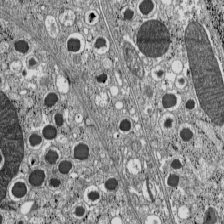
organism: C57BL Mouse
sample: Pancreatic islet